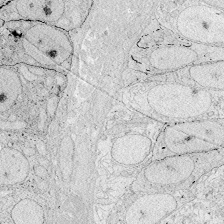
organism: Zebrafish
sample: Whole-Brain